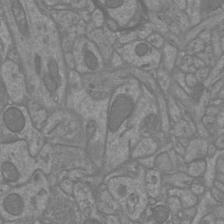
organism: Mouse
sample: Cortical neurons